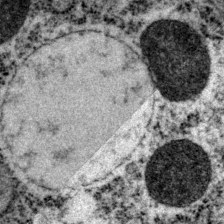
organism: P. pacificus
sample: Pharynx